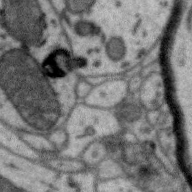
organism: Zebra finch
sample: Brain